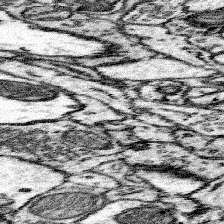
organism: Mouse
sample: Somatosensory cortex neuropil